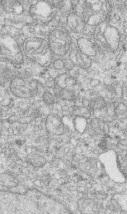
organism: Human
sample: HeLa cell HIV synapse